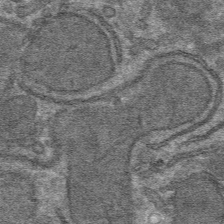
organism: Mouse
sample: Mouse hepatocytes